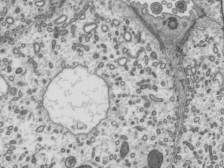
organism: Mouse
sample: Mouse epididymis efferent ductule cilia